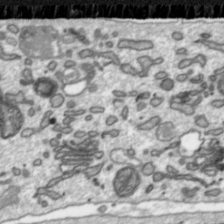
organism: Toxoplasma gondii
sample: Parasites in a vacuole inside a host cell